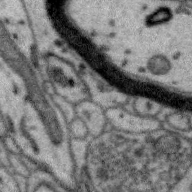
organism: Zebra finch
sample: Brain